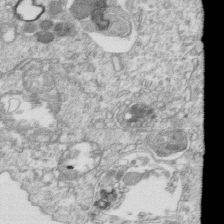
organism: Mouse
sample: Activated OT-1 CD8+ T cells